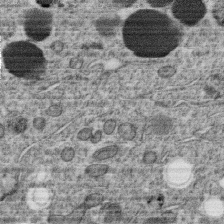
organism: C. elegans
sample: C. elegans oocyte; sperm cells